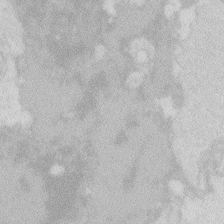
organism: Zebrafish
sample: Macrophage